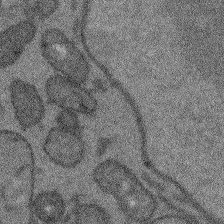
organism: Arabidopsis thaliana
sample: Root tip